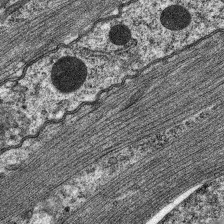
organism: C. elegans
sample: Pharynx